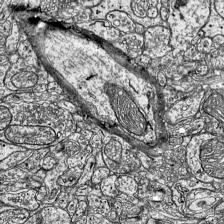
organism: Mouse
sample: Visual Cortex